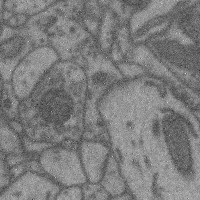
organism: Mouse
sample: Cerebral cortex